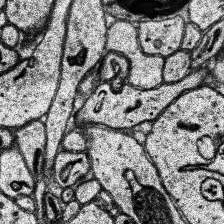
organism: Human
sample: Temporal Lobe